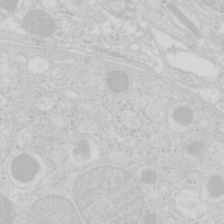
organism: Mouse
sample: Pancreas